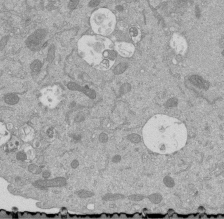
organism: Mouse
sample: ED-1 cell nuclei; centrioles